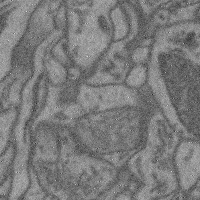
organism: Mouse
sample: Cerebral cortex